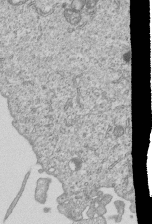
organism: Human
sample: MDA-MB-231 cells